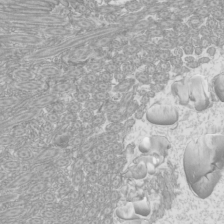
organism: Mouse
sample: Cilia; mouse epididymis